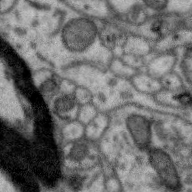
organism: Zebra finch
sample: Brain